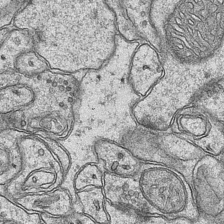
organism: Mouse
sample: CA1 Hippocampus